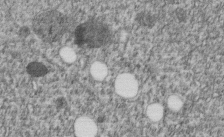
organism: C. elegans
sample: C. elegans embryo early stage